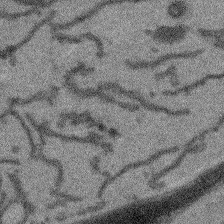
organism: Arabidopsis thaliana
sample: Root tip